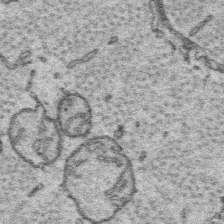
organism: Platynereis dumerilii